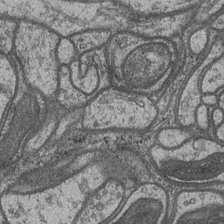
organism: Drosophila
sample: Optic medulla